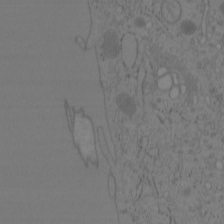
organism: Human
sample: HeLa cells